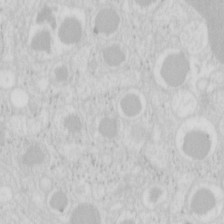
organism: Mouse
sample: Pancreas